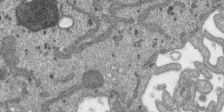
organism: Human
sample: Lung epithelial cells infected with SARS-CoV-2